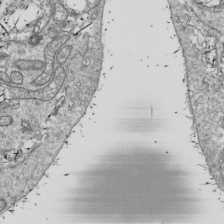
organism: Drosophila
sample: Cell division; meiosis; drosophila spermatocytes